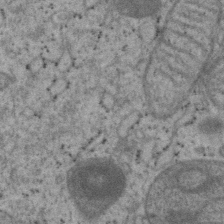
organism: Human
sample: HeLa cells